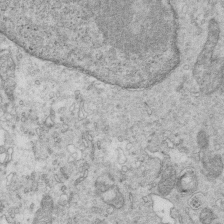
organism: Mouse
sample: Multiciliated cells